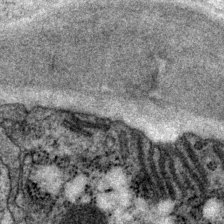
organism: P. pacificus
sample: Pharynx